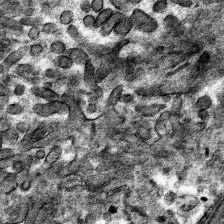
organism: Mouse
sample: Mouse hepatocytes